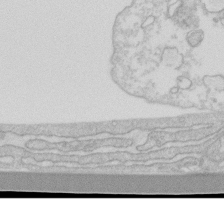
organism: Human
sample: Fibroblast cells